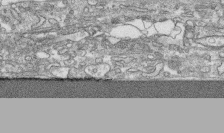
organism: Human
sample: CRL-1474